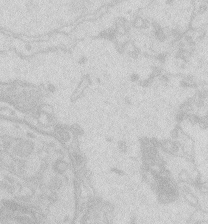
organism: Zebrafish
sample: Macrophage